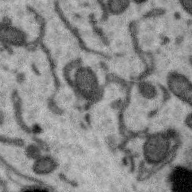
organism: Zebra finch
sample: Brain